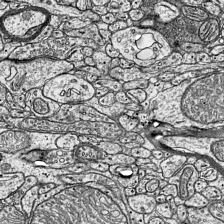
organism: Mouse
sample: Visual Cortex